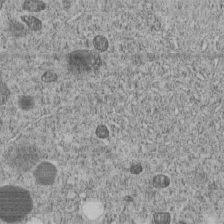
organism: C. elegans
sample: C. elegans embryo early stage